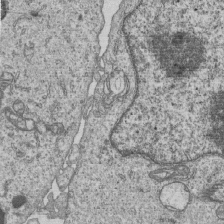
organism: Human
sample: MDA-MB-231 cells